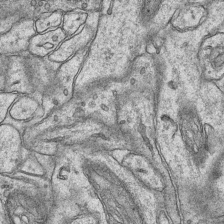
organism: Mouse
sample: CA1 Hippocampus